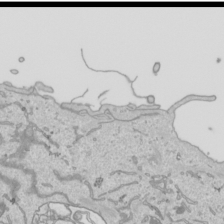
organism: Human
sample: Mitochondria in HCT116 cells